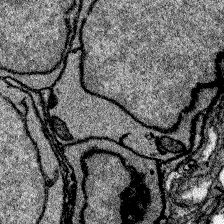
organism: Zebrafish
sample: Larval olfactory bulb